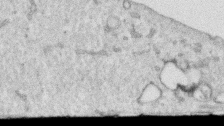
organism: Human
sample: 1205lu cells